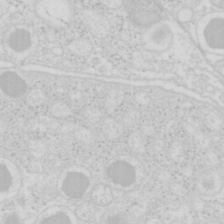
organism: Mouse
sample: Pancreas